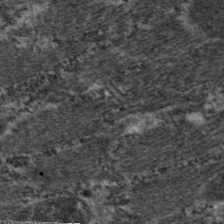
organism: C. elegans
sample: Pharynx